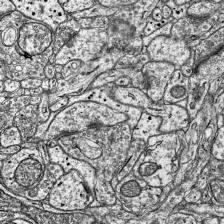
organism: Mouse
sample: Visual Cortex